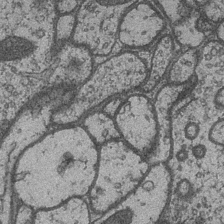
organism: Drosophila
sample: Optic medulla